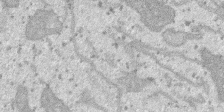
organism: Human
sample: Lung epithelial cells infected with SARS-CoV-2